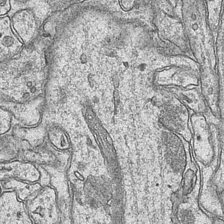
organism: Mouse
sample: CA1 Hippocampus